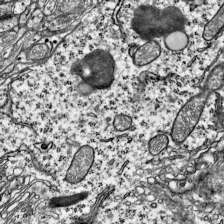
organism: Mouse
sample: Visual Cortex